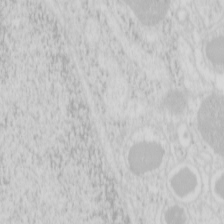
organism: Mouse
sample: Pancreas